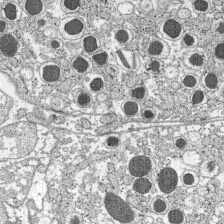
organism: C57BL Mouse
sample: Pancreatic islet